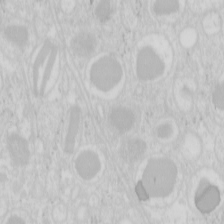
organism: Mouse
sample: Pancreas